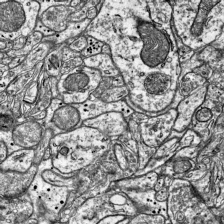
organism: Mouse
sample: Visual Cortex